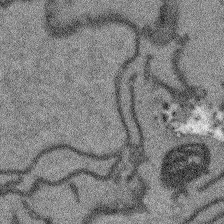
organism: Arabidopsis thaliana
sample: Root tip